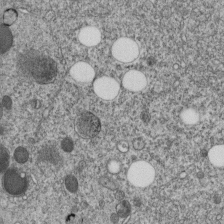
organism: C. elegans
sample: C. elegans embryo early stage